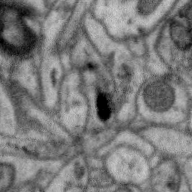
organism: Zebra finch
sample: Brain